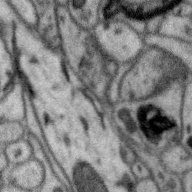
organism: Zebra finch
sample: Brain